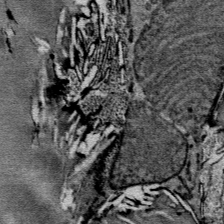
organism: Mouse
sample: Mouse Salivary gland